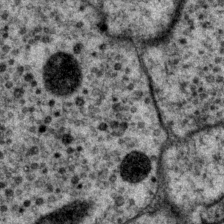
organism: P. pacificus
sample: Pharynx